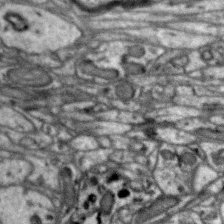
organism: Zebra finch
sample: Brain